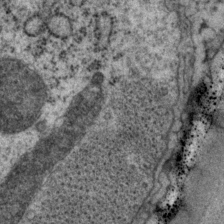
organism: P. pacificus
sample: Pharynx